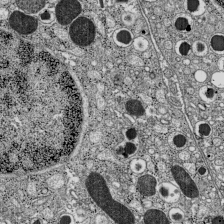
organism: C57BL Mouse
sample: Pancreatic islet